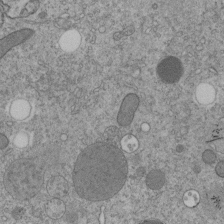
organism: C. elegans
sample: C. elegans embryo early stage